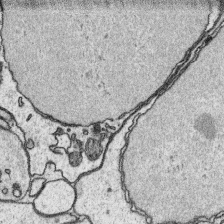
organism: Platynereis dumerilii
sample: Parapodia